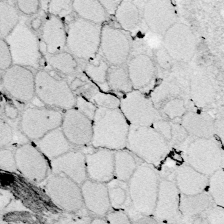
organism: Zebrafish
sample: Whole-Brain